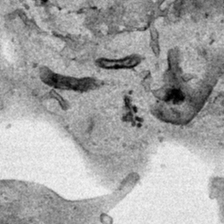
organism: Human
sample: Mitochondria in HCT116 cells